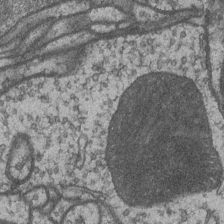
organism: Drosophila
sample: Optic medulla